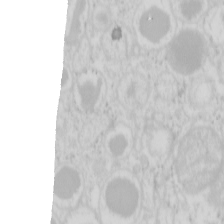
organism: Mouse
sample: Pancreas